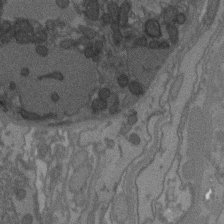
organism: C. elegans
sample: AFD neurons C. elegans